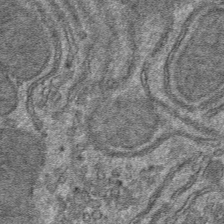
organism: Mouse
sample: Mouse hepatocytes